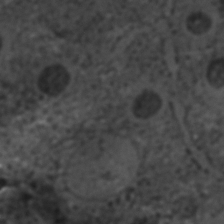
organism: C. elegans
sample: C. elegans embryo